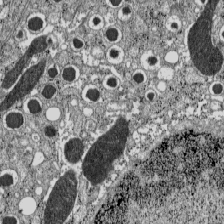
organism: C57BL Mouse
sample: Pancreatic islet